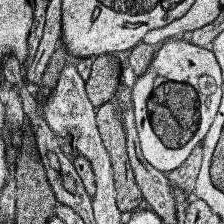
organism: Human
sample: Temporal Lobe